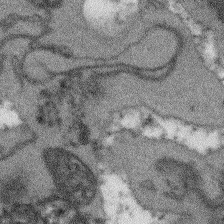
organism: Arabidopsis thaliana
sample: Root tip